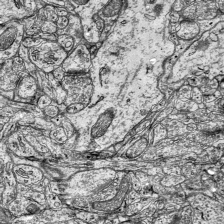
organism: Mouse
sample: Visual Cortex